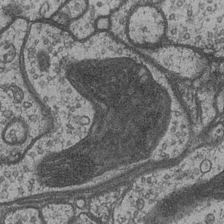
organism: Drosophila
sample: Optic medulla